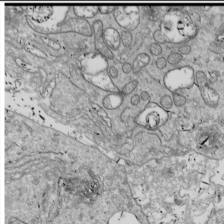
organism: Drosophila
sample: Cell division; meiosis; drosophila spermatocytes